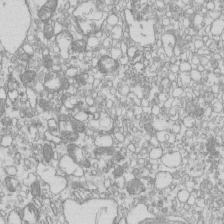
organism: Mouse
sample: Macrophages